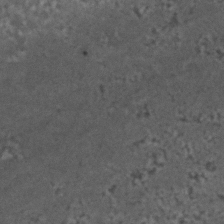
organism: C. elegans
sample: C. elegans embryo